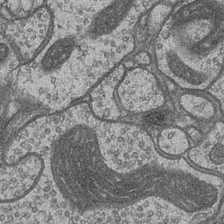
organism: Drosophila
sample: Optic medulla